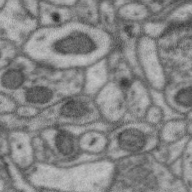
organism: Zebra finch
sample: Brain